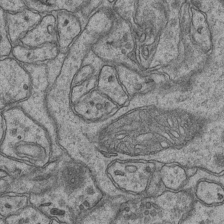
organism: Mouse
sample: CA1 Hippocampus